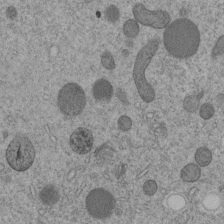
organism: C. elegans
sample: C. elegans embryo early stage